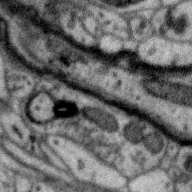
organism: Zebra finch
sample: Brain